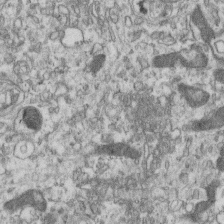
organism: Mouse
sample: Centriole in ependymal cells